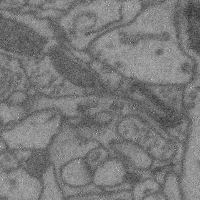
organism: Mouse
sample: Cerebral cortex